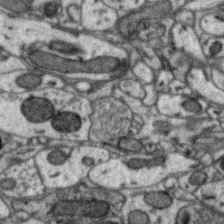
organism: Zebra finch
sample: Brain